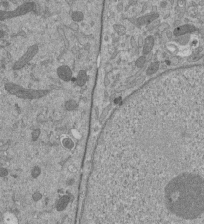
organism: Mouse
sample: ED-1 cell nuclei; centrioles